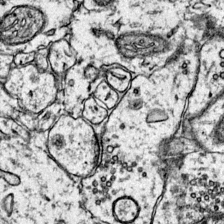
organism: Mouse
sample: Primary visual cortex